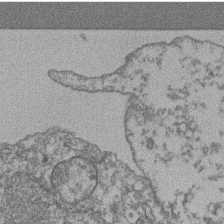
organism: Mouse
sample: T cell stromal cell synapse